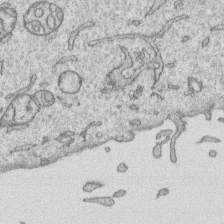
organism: Human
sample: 1205lu cells